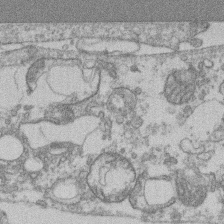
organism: Mouse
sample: T cell stromal cell synapse